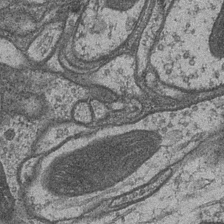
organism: Drosophila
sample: Optic medulla